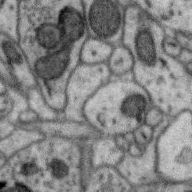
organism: Zebra finch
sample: Brain